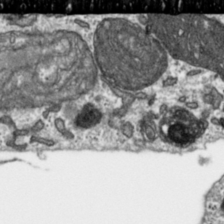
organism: Toxoplasma gondii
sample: Parasites in a vacuole inside a host cell